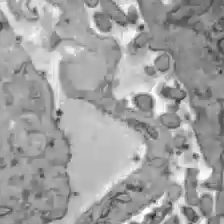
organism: C57BL Mouse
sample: Liver